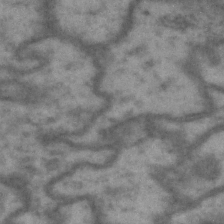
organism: Drosophila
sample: Brain